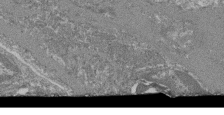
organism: Mouse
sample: Glomerulus